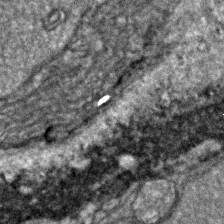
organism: Zebrafish